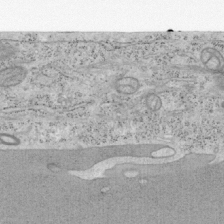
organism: Human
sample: HeLa cells